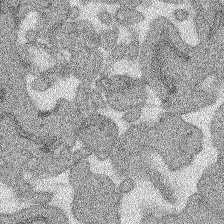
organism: Human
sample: HeLa cells